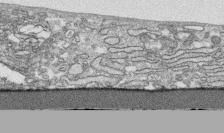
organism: Human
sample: CRL-1474